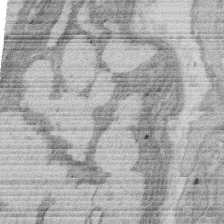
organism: Rat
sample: Salivary granule